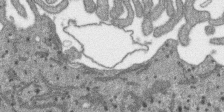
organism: Human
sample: Lung epithelial cells infected with SARS-CoV-2